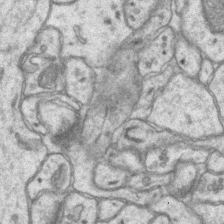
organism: Mouse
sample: CA1 Hippocampus